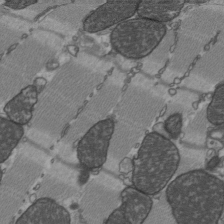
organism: C57BL Mouse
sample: Heart